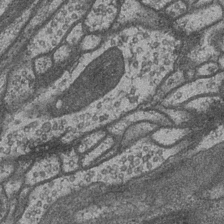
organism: Drosophila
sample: Optic medulla